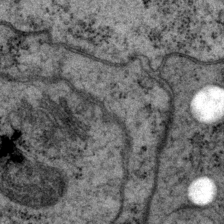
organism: P. pacificus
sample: Pharynx